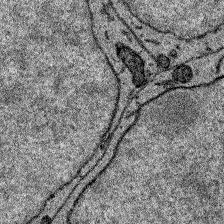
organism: Zebrafish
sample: Larval olfactory bulb